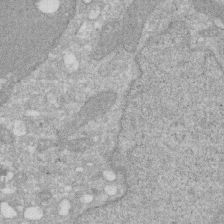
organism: Human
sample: HIV infected U937 cells